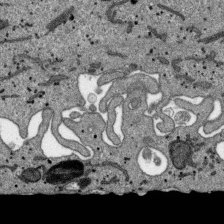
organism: Human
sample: Lung epithelial cells, uninfected (mock) control